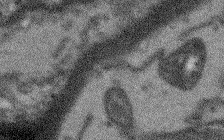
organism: Arabidopsis thaliana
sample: Root tip